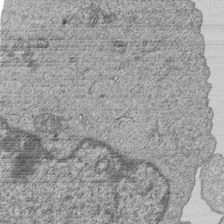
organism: Human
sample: MDA-MB-231 cells